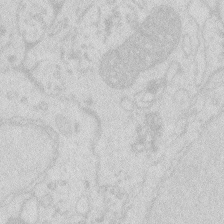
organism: Zebrafish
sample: Macrophage